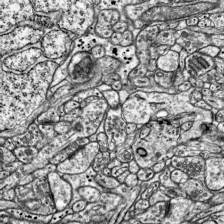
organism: Mouse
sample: Visual Cortex